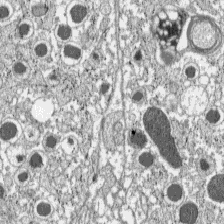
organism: C57BL Mouse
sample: Pancreatic islet